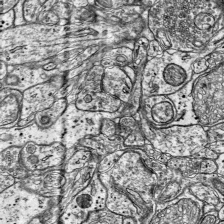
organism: Mouse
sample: Visual Cortex